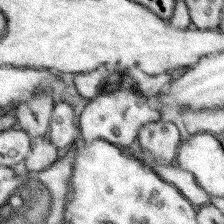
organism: Mouse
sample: Somatosensory cortex neuropil